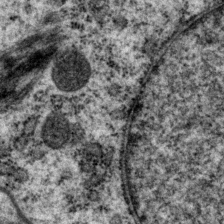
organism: P. pacificus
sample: Pharynx